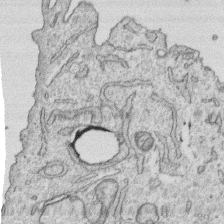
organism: Human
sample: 1205lu cells